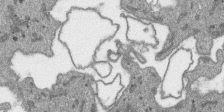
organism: Human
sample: Lung epithelial cells infected with SARS-CoV-2